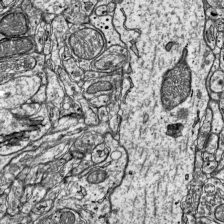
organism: Mouse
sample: Visual Cortex